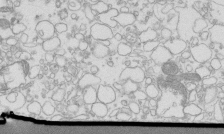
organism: Mouse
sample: Macrophages